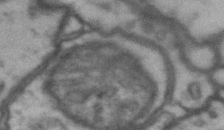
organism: Drosophila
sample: Brain